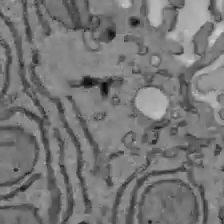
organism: C57BL Mouse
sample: Liver